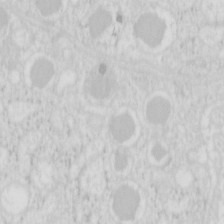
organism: Mouse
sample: Pancreas